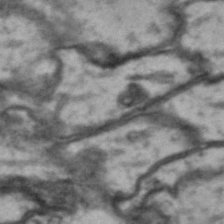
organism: Drosophila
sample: Brain